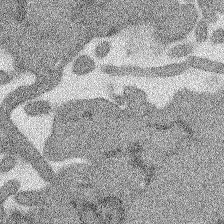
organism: Human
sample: HeLa cells